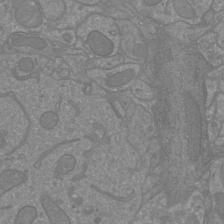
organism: Mouse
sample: Cortical neurons